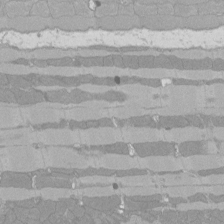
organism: Rat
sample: Left ventricle